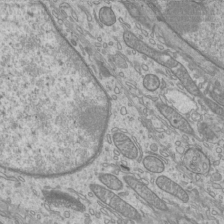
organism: Mouse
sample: Cilia; mouse epididymis